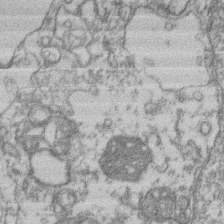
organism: Mouse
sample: T cell stromal cell synapse